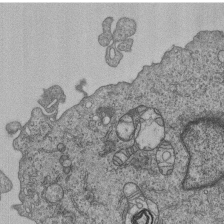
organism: Human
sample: MDA-MB-231 cells